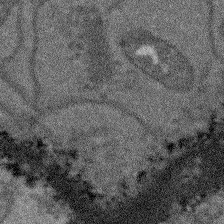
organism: Arabidopsis thaliana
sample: Root tip